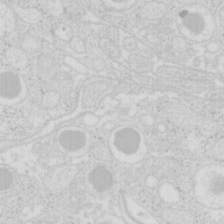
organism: Mouse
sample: Pancreas